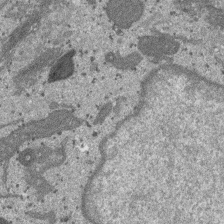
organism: Human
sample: Lung epithelial cells infected with SARS-CoV-2